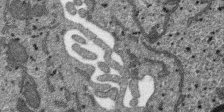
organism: Human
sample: Lung epithelial cells infected with SARS-CoV-2